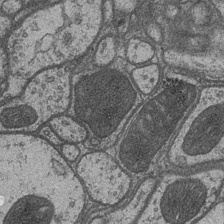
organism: Drosophila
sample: Optic medulla